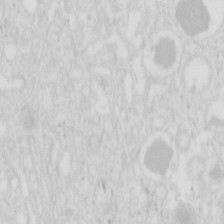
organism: Mouse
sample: Pancreas